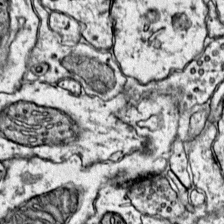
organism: Mouse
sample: Primary visual cortex